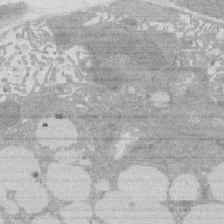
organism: Rat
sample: Salivary granule